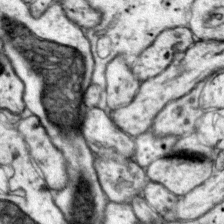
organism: Mouse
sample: Primary visual cortex